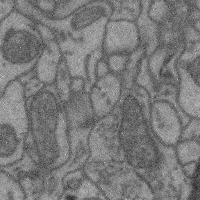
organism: Mouse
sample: Cerebral cortex